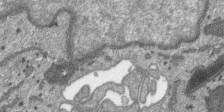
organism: Human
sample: Lung epithelial cells infected with SARS-CoV-2